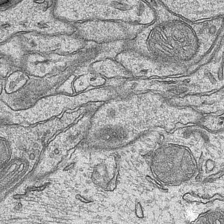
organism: Mouse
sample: CA1 Hippocampus